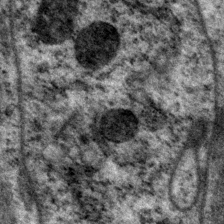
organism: P. pacificus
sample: Pharynx